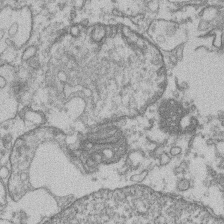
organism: Mouse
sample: T cell stromal cell synapse